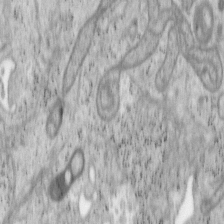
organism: Human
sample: HeLa cells